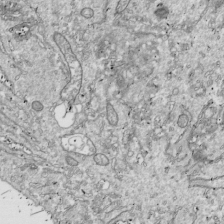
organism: Drosophila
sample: Cell division; meiosis; drosophila spermatocytes